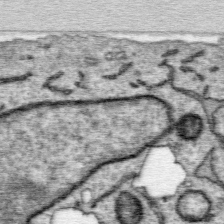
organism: Human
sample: HeLa cells